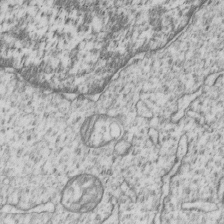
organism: Human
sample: MDA-MB-231 cells